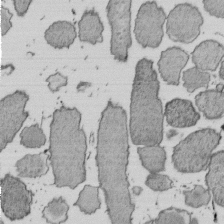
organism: E. coli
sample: Bacterial nucleoid